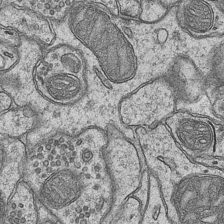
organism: Mouse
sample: CA1 Hippocampus